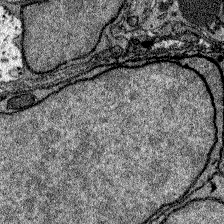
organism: Zebrafish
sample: Larval olfactory bulb